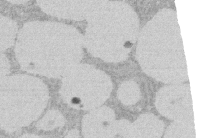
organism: Rat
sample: Salivary granule